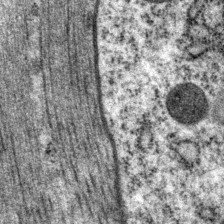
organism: P. pacificus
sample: Pharynx